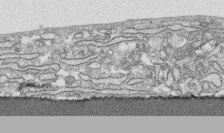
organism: Human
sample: CRL-1474